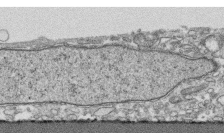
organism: Human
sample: CRL-1474